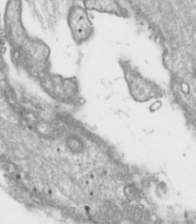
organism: Toxoplasma gondii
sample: Parasites in a vacuole inside a host cell